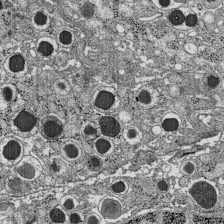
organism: C57BL Mouse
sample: Pancreatic islet